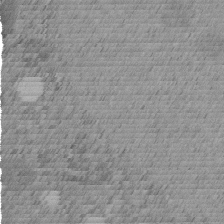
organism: C. elegans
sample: C. elegans embryo early stage